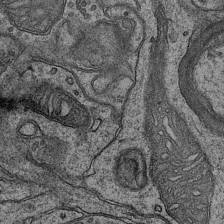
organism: Mouse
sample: CA1 Hippocampus